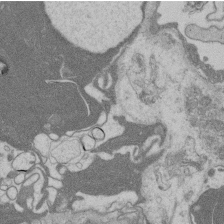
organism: Rat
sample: Salivary granule